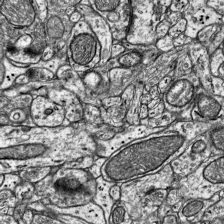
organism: Mouse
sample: Visual Cortex